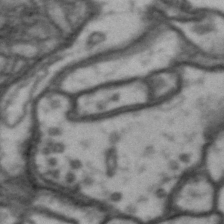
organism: Drosophila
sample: Brain